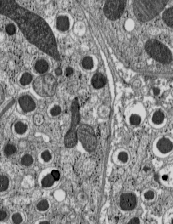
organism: C57BL Mouse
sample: Pancreatic islet